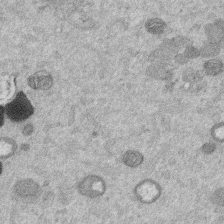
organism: Mouse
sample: Dividing mouse embryo 1 cell stage